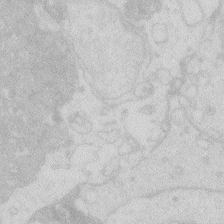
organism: Zebrafish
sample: Macrophage